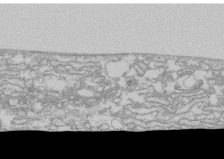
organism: Human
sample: CRL-1474